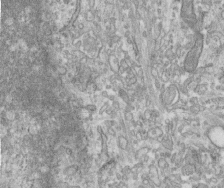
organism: Human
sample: Centriole in fibroblast cells